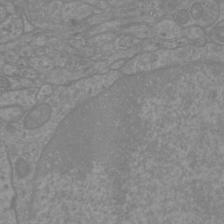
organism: Mouse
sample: Cortical neurons